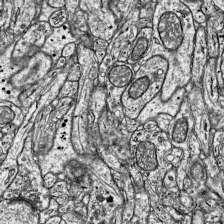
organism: Mouse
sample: Visual Cortex